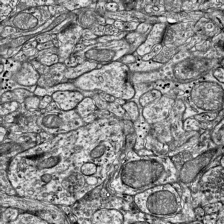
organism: Mouse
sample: Visual Cortex